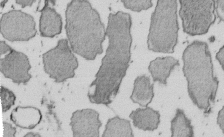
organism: E. coli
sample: Bacterial nucleoid